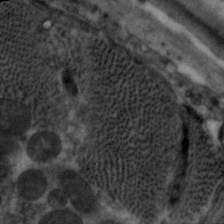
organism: C. elegans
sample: Pharynx